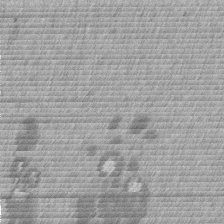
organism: Mouse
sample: Dividing mouse embryo 1 cell stage